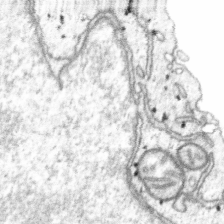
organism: Human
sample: HeLa cells